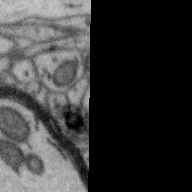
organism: Zebra finch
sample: Brain